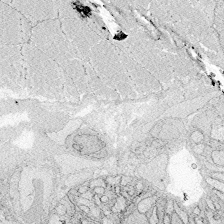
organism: Zebrafish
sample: Whole-Brain